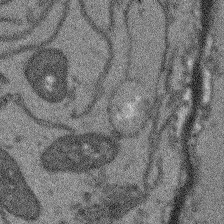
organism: Arabidopsis thaliana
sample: Root tip